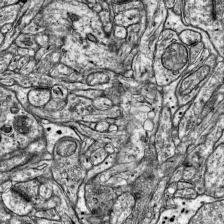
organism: Mouse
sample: Visual Cortex